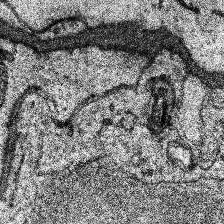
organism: Human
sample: Temporal Lobe